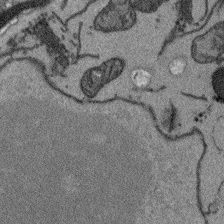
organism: Arabidopsis thaliana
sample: Root tip